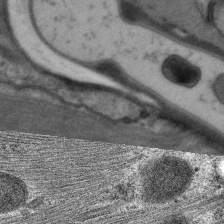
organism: C. elegans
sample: Pharynx